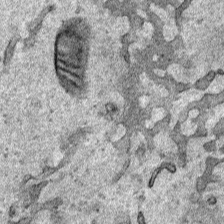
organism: Human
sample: Mitochondria in HCT116 cells